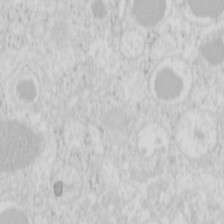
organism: Mouse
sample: Pancreas